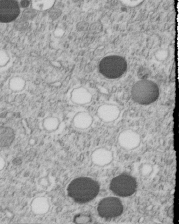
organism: C. elegans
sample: C. elegans embryo early stage